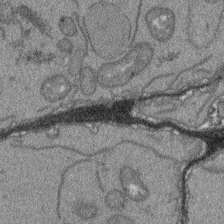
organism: Arabidopsis thaliana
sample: Root tip